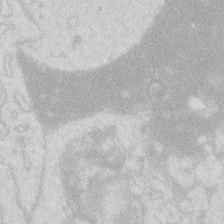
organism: Zebrafish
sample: Macrophage